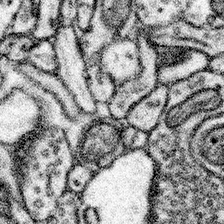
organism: Mouse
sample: Somatosensory cortex neuropil